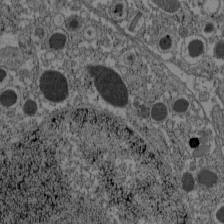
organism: C57BL Mouse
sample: Pancreatic islet